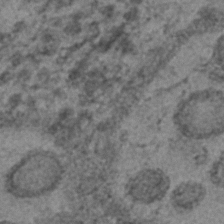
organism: C. elegans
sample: C. elegans embryo